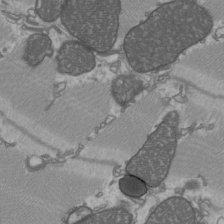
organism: C57BL Mouse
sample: Heart